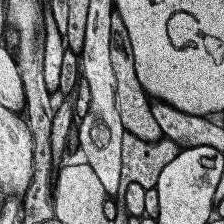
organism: Human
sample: Temporal Lobe